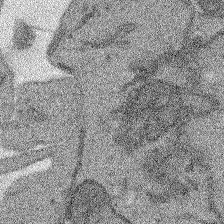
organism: Human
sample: HeLa cells